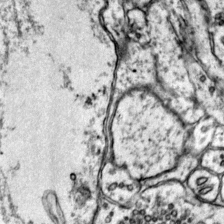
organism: Mouse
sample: Primary visual cortex